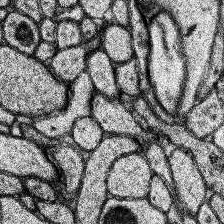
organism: Human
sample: Temporal Lobe